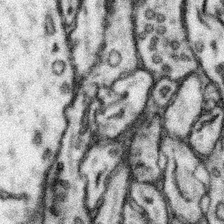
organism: Mouse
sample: Somatosensory cortex neuropil